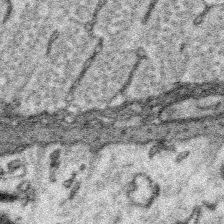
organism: Platynereis dumerilii